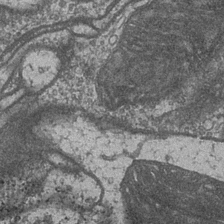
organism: Drosophila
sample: Optic medulla